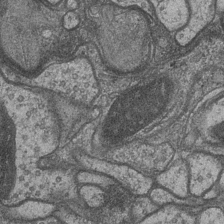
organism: Drosophila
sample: Optic medulla